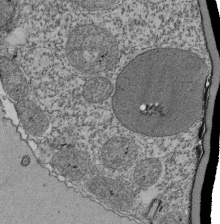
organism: Tetrahymena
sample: Cilia in tetrahymena